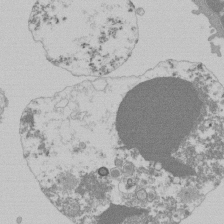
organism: Mouse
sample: Activated Pmel transgenic CD8+ T Cells